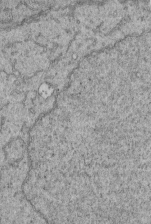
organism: Human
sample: Retinal organoid Rod and Cone cells